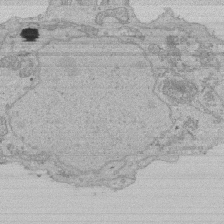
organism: Human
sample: Activated Jurkat CD4+ T cells